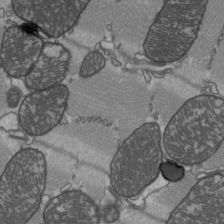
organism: C57BL Mouse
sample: Heart